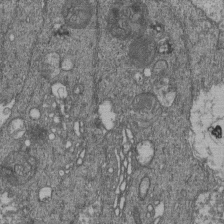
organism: Human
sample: Retinal organoid Rod and Cone cells